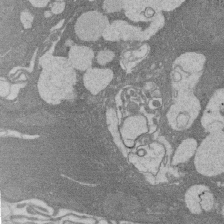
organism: Rat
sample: Salivary granule